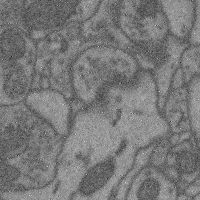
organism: Mouse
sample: Cerebral cortex